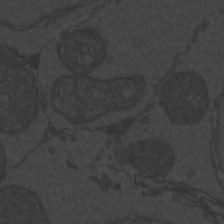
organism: Zebrafish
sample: Macrophage infected with Toxoplasma gondii